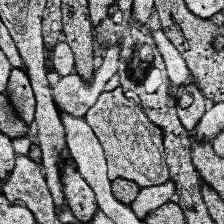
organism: Human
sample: Temporal Lobe